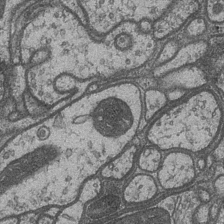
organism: Drosophila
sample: Optic medulla